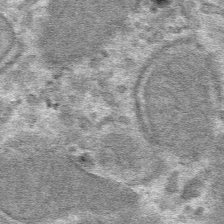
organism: Mouse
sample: Mouse hepatocytes